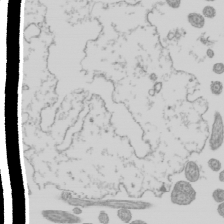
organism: Mouse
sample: Cilia; mouse epididymis